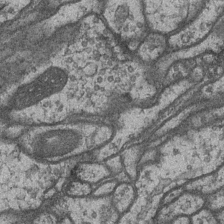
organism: Drosophila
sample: Optic medulla